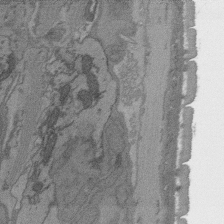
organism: C. elegans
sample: AFD neurons C. elegans